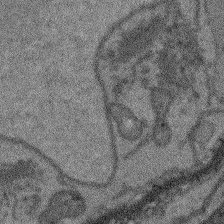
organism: Arabidopsis thaliana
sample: Root tip